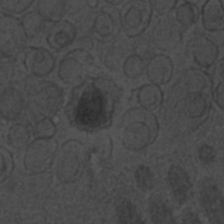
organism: C. elegans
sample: C. elegans embryo